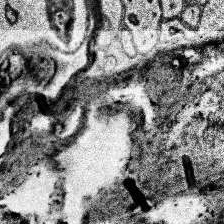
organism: Human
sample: Temporal Lobe